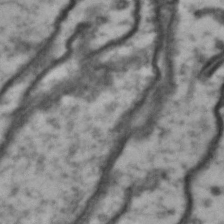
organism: Drosophila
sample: Brain